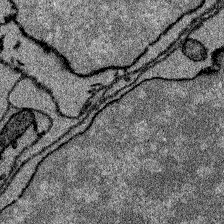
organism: Zebrafish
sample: Larval olfactory bulb